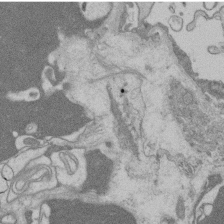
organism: Rat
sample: Salivary granule